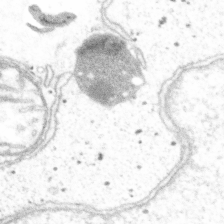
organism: Human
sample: HeLa cells